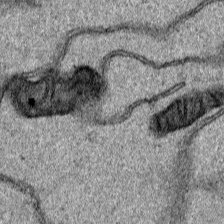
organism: Human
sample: Mitochondria in HCT116 cells